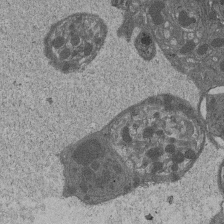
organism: Drosophila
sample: Antenna